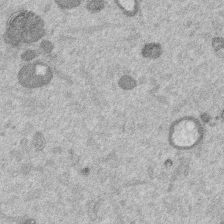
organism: Mouse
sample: Dividing mouse embryo 1 cell stage